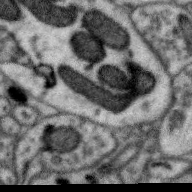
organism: Zebra finch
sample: Brain